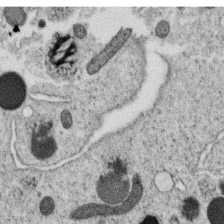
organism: C. elegans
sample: C. elegans oocyte; sperm cells